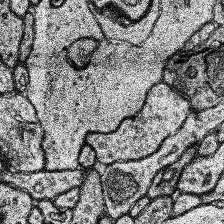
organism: Human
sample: Temporal Lobe